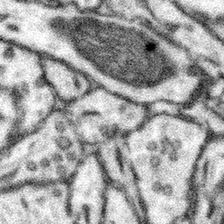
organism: Mouse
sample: Somatosensory cortex neuropil